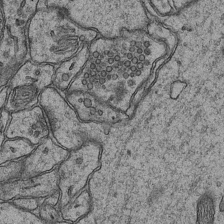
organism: Mouse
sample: CA1 Hippocampus